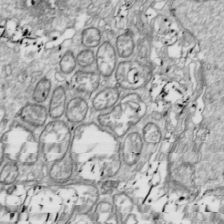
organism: Drosophila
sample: Cell division; meiosis; drosophila spermatocytes